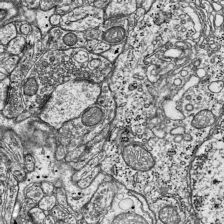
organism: Mouse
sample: Visual Cortex